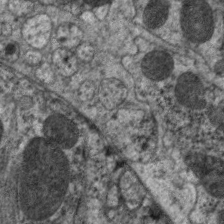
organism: C. elegans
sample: Pharynx